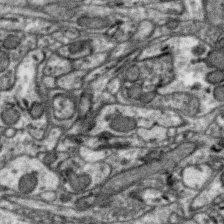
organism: Zebra finch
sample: Brain